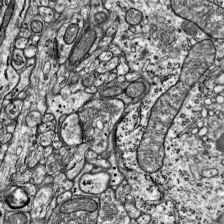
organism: Mouse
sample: Visual Cortex